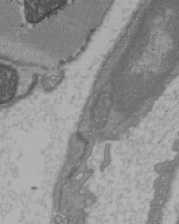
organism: C57BL Mouse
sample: Heart